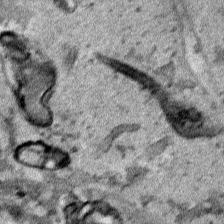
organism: Human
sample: Mitochondria in HCT116 cells